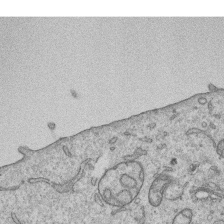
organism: Human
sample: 1205lu cells